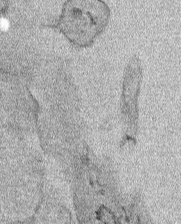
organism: Human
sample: Mitochondria in HCT116 cells